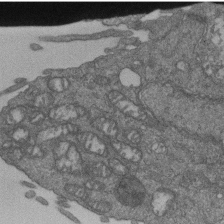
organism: Human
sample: Retinal organoid Rod and Cone cells